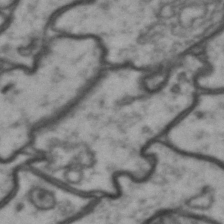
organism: Drosophila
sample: Brain